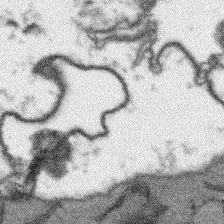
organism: Arabidopsis thaliana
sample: Root tip